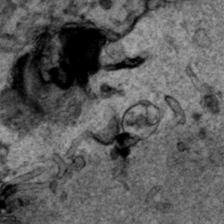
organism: Human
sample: Mitochondria in HCT116 cells